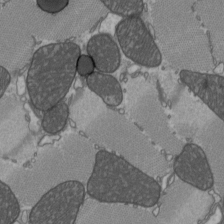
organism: C57BL Mouse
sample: Heart